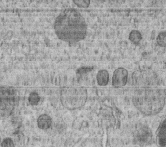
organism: C. elegans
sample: C. elegans embryo early stage